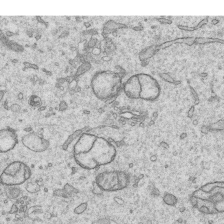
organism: Human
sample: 1205lu cells